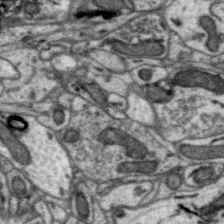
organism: Zebra finch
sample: Brain